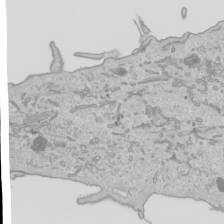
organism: Human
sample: Mitochondria in HCT116 cells